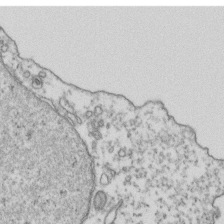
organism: Human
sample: Activated Jurkat CD4+ T cells